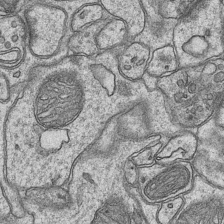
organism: Mouse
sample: CA1 Hippocampus